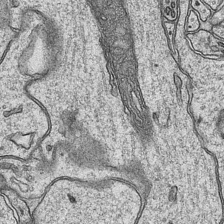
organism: Mouse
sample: CA1 Hippocampus